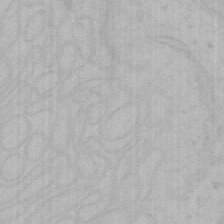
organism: Mouse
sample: Choroid plexus